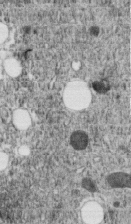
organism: C. elegans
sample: C. elegans embryo early stage